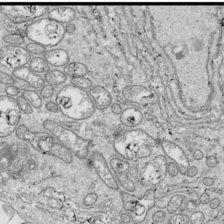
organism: Drosophila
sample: Cell division; meiosis; drosophila spermatocytes